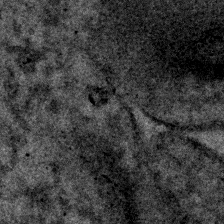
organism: Human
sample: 1205lu cells